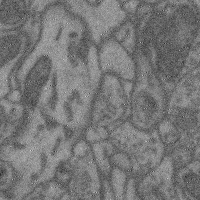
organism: Mouse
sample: Cerebral cortex